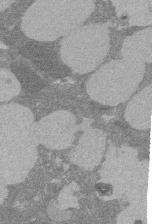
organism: Rat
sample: Salivary granule